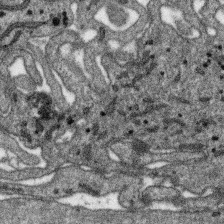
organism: Human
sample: Lung epithelial cells infected with SARS-CoV-2